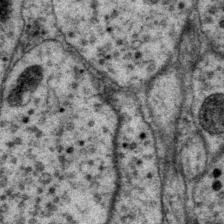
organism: P. pacificus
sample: Pharynx